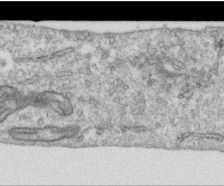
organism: Human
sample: Centriole in RPE cells